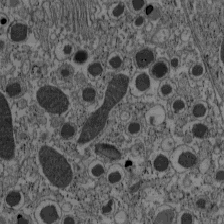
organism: C57BL Mouse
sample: Pancreatic islet